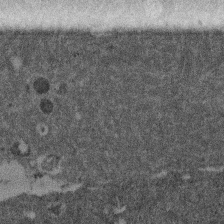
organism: Mouse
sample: Dividing mouse embryo 1 cell stage